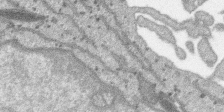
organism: Human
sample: Lung epithelial cells infected with SARS-CoV-2